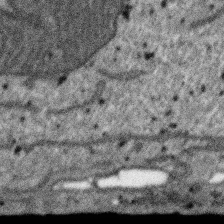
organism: Human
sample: Lung epithelial cells infected with SARS-CoV-2